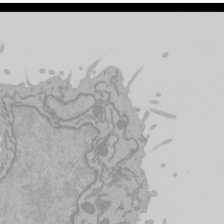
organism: Mouse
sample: Cancer cell death in ED-1 cells